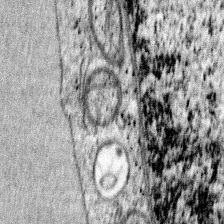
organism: Human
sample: HeLa cells